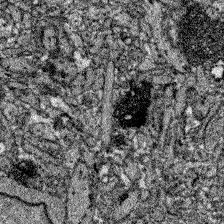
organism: Zebrafish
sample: Larval olfactory bulb